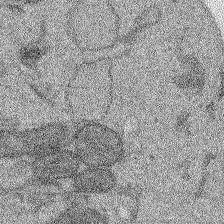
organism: Human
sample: HeLa cells